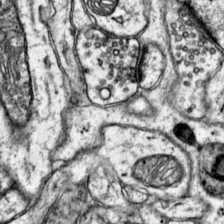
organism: Mouse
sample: Primary visual cortex